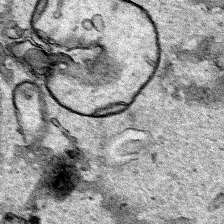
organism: Human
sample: Mitochondria in HCT116 cells